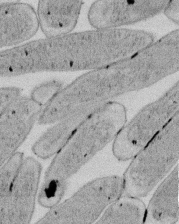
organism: E. coli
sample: Bacterial nucleoid